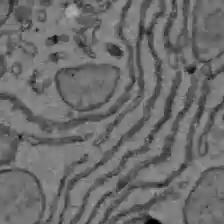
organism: C57BL Mouse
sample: Liver